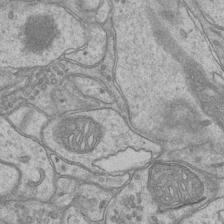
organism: Mouse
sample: CA1 Hippocampus